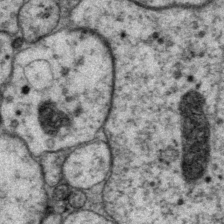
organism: P. pacificus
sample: Pharynx